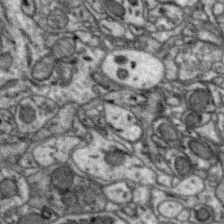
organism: Zebra finch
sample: Brain